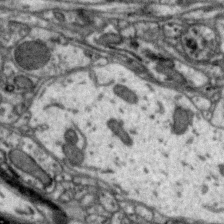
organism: Zebra finch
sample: Brain